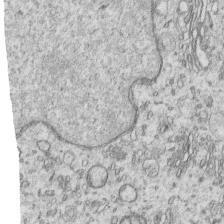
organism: Human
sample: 1205lu cells